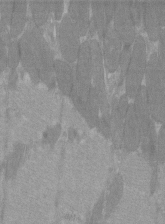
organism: C57BL Mouse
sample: Tibialis anterior muscle cell